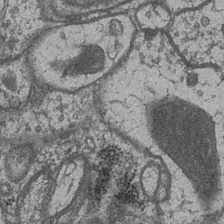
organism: Drosophila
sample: Optic medulla